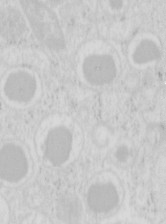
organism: Mouse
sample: Pancreas